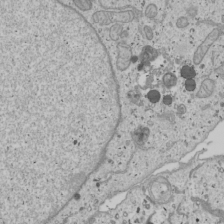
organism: Human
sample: Mitochondria in U2OS cells